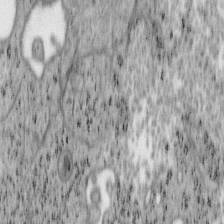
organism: Human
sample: HeLa cells